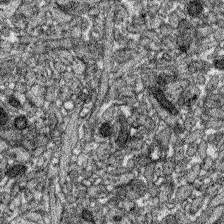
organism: Zebrafish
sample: Larval olfactory bulb